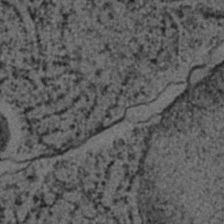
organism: C. elegans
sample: C. elegans embryo